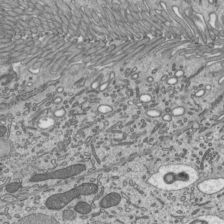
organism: Mouse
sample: Mouse epididymis efferent ductule cilia